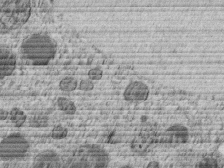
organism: C. elegans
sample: C. elegans embryo early stage